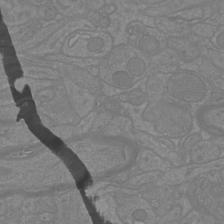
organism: Mouse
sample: Cortical neurons